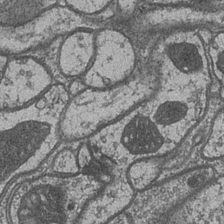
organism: Drosophila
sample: Optic medulla